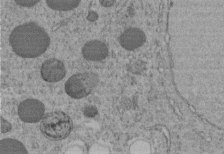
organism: C. elegans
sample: C. elegans embryo early stage